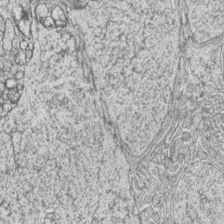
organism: Zebrafish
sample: synaptic ribbons in rod cells and cone cells